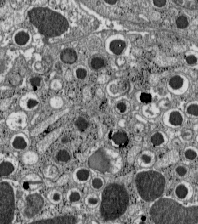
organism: C57BL Mouse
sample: Pancreatic islet